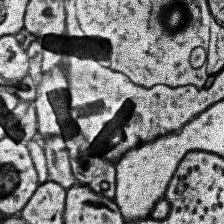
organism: Human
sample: Temporal Lobe